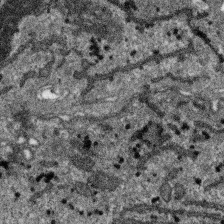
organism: Human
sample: Lung epithelial cells infected with SARS-CoV-2